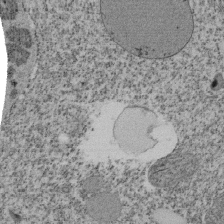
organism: Tetrahymena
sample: Cilia in tetrahymena